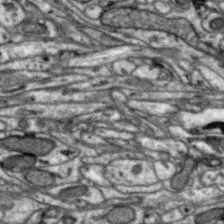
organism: Zebra finch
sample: Brain